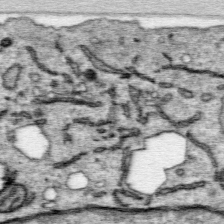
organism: Human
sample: HeLa cells